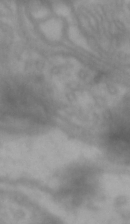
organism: Drosophila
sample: Brain